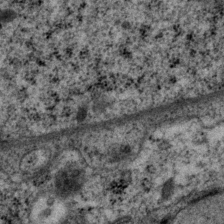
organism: P. pacificus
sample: Pharynx